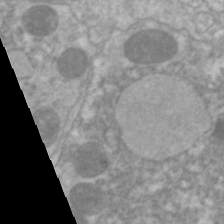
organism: C. elegans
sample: Pharynx